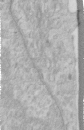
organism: Human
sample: Centriole in RPE cells